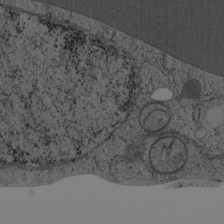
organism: African green monkey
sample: COS-7 cells